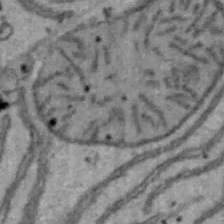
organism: Mouse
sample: Liver